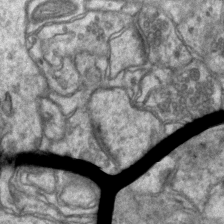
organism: Mouse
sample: CA1 Hippocampus